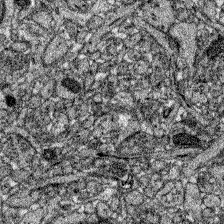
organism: Zebrafish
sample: Larval olfactory bulb